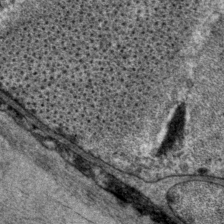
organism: P. pacificus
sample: Pharynx